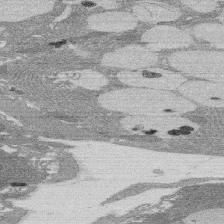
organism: Rat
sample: Salivary granule